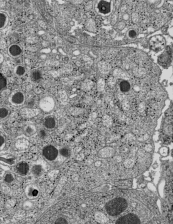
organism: C57BL Mouse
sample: Pancreatic islet